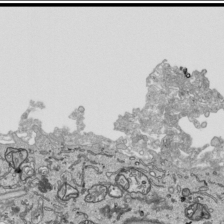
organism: Human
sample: Mitochondria in HCT116 cells